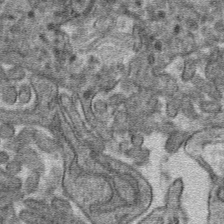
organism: Mouse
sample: Mouse hepatocytes